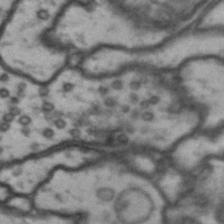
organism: Drosophila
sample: Brain